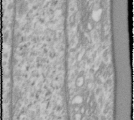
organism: Human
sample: Cilia; basal body in RPE cells